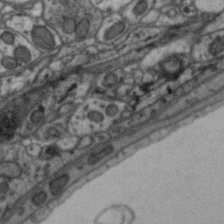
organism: Zebra finch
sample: Brain